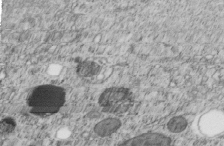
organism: C. elegans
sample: C. elegans embryo early stage